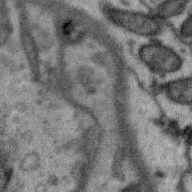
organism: Zebra finch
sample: Brain